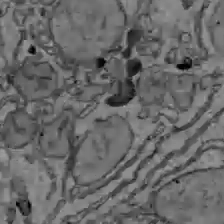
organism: C57BL Mouse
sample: Liver